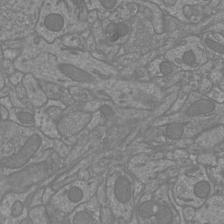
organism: Mouse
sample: Cortical neurons